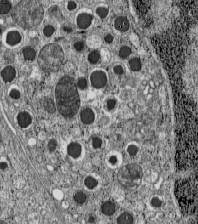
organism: C57BL Mouse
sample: Pancreatic islet